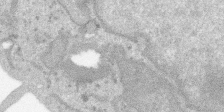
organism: Human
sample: Lung epithelial cells infected with SARS-CoV-2